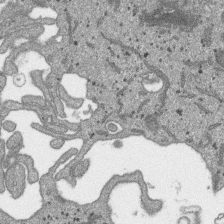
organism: Human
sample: Lung epithelial cells infected with SARS-CoV-2